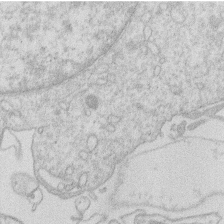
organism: Human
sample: Macrophage cells